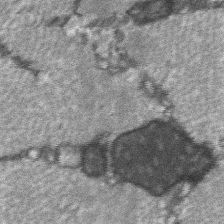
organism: C57BL Mouse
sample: Soleus